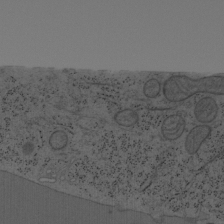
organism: Mouse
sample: OT-I killer T cells with ID8 ovarian cancer cells